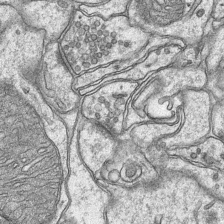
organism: Mouse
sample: CA1 Hippocampus